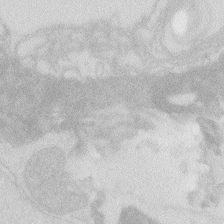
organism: Zebrafish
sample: Macrophage